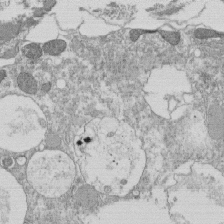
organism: Tetrahymena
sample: Cilia in tetrahymena